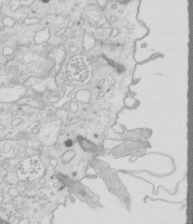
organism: Mouse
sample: Multiciliated cells